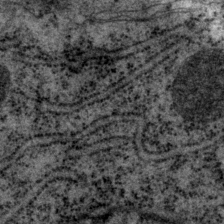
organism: P. pacificus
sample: Pharynx